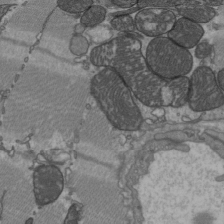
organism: C57BL Mouse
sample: Heart